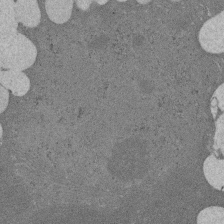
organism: Rat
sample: Salivary granule